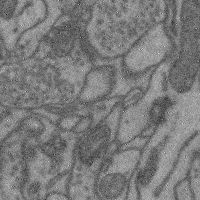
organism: Mouse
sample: Cerebral cortex